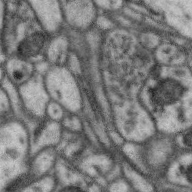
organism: Zebra finch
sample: Brain